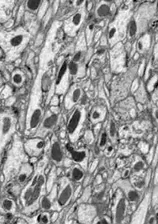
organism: Drosophila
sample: Optic lobe